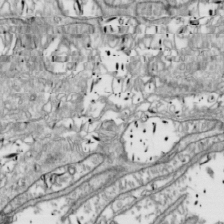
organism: Drosophila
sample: Cell division; meiosis; drosophila spermatocytes